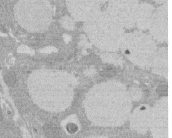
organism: Rat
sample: Salivary granule